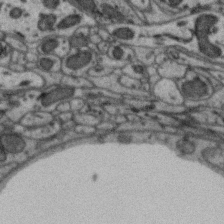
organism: Zebra finch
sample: Brain